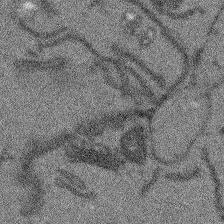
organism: Arabidopsis thaliana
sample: Root tip